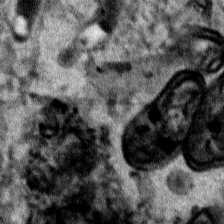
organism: Human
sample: Mitochondria in HCT116 cells